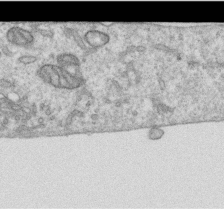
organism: Human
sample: Centriole in RPE cells